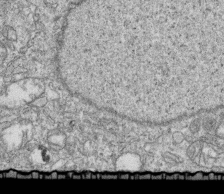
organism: Human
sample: HeLa cell HIV synapse